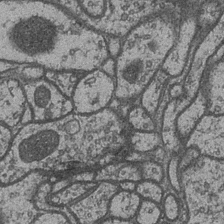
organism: Drosophila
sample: Optic medulla